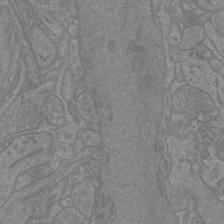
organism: Mouse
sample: Cortical neurons